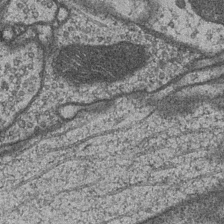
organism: Drosophila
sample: Optic medulla